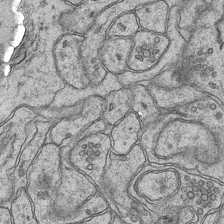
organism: Mouse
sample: CA1 Hippocampus